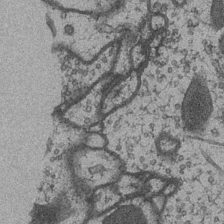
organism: Drosophila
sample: Optic medulla